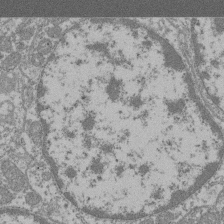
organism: Mouse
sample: Glomerulus